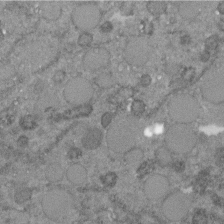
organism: C. elegans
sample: C. elegans embryo early stage